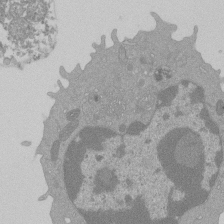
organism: Mouse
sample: Activated Pmel transgenic CD8+ T Cells